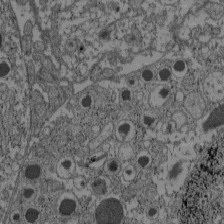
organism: C57BL Mouse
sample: Pancreatic islet